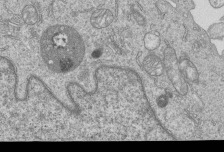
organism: Human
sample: MDA-MB-231 cells